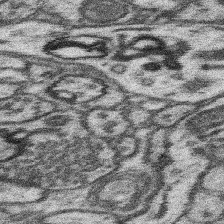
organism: Mouse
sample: Somatosensory cortex neuropil